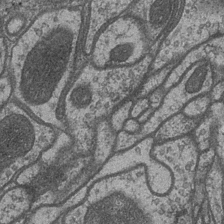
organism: Drosophila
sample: Optic medulla